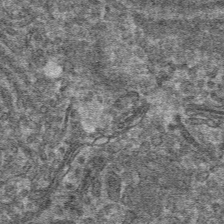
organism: Mouse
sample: Mouse hepatocytes